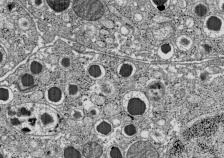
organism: C57BL Mouse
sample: Pancreatic islet